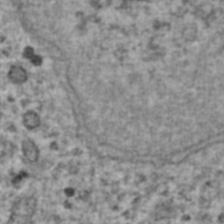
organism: Human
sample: Blood